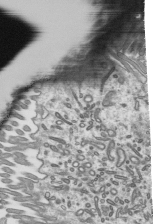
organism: Mouse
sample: Mouse epididymis efferent ductule cilia